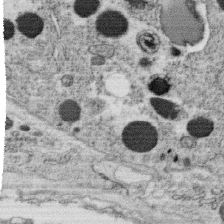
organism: C. elegans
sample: C. elegans oocyte; sperm cells